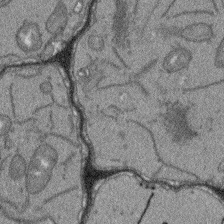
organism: Arabidopsis thaliana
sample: Root tip